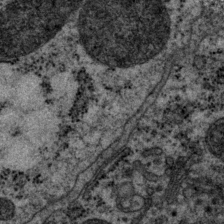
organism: P. pacificus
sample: Pharynx